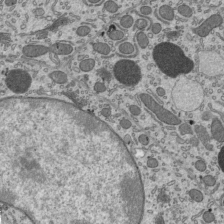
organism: Mouse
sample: Mouse epididymis efferent ductule cilia